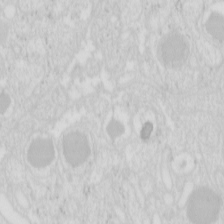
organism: Mouse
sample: Pancreas